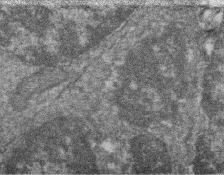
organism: Zebrafish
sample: Cilia; retinal pigment epithelium